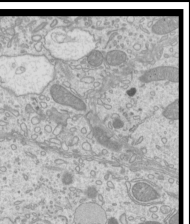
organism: Mouse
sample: Cilia; mouse epididymis